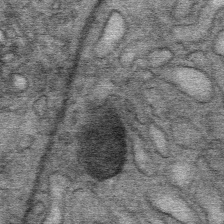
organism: Mouse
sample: Mouse Salivary gland